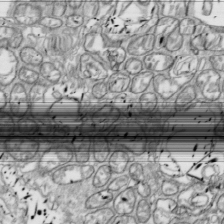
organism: Drosophila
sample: Cell division; meiosis; drosophila spermatocytes